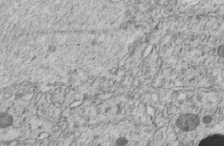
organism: C. elegans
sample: C. elegans embryo early stage